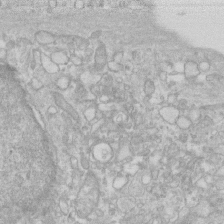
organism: Human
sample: Fibroblast cells